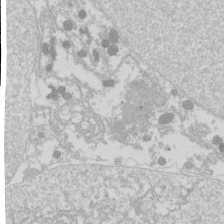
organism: Drosophila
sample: Cell division; meiosis; drosophila spermatocytes